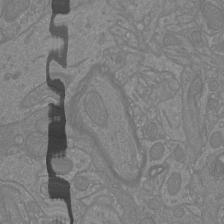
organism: Mouse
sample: Cortical neurons